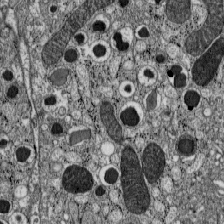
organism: C57BL Mouse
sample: Pancreatic islet